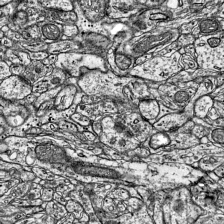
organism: Mouse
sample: Visual Cortex